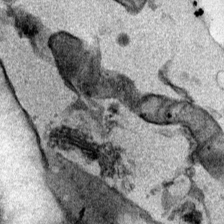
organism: Mouse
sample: Cancer cell death in ED-1 cells